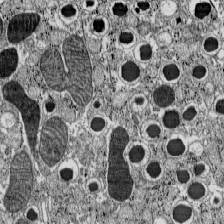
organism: C57BL Mouse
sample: Pancreatic islet